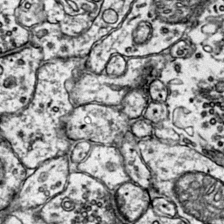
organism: Mouse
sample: Primary visual cortex